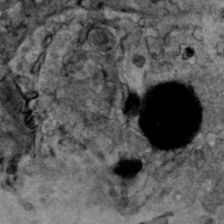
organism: Human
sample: Mitochondria in HCT116 cells